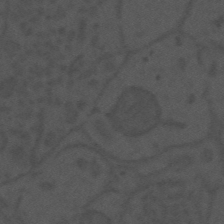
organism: Mouse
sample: Suprachiasmatic nucleus